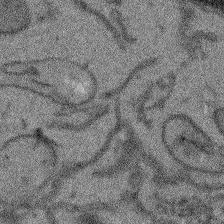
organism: Arabidopsis thaliana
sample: Root tip